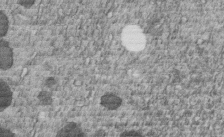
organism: C. elegans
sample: C. elegans embryo early stage